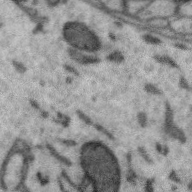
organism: Zebra finch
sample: Brain